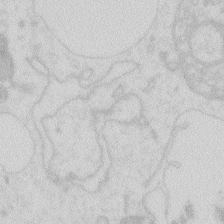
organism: Zebrafish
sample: Macrophage